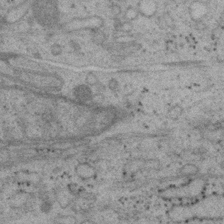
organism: Human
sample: HeLa cells